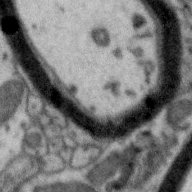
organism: Zebra finch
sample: Brain